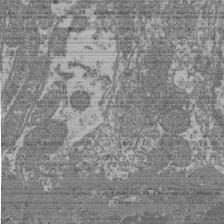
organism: Mouse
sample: Glomerulus